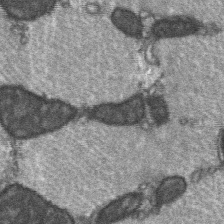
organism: C57BL Mouse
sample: Soleus